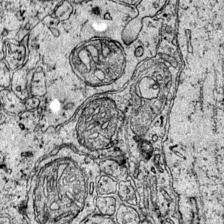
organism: Mouse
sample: Primary visual cortex